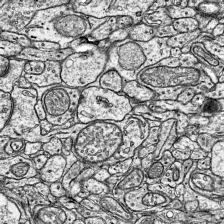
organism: Mouse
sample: Visual Cortex